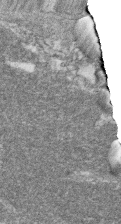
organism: Zebrafish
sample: Cilia; retinal pigment epithelium